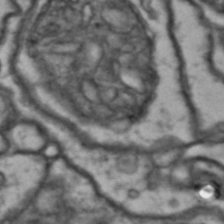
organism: Drosophila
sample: Brain